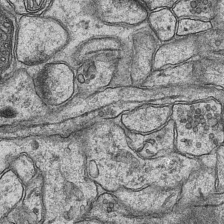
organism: Mouse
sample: CA1 Hippocampus